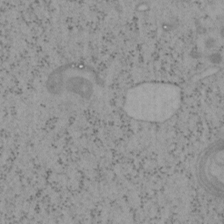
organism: Mouse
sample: OT-I killer T cells with ID8 ovarian cancer cells